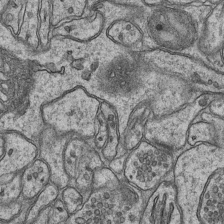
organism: Mouse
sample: CA1 Hippocampus